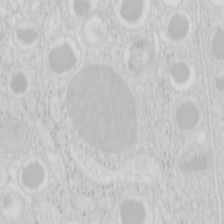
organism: Mouse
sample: Pancreas